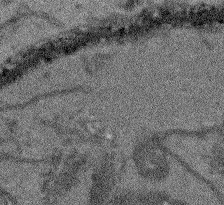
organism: Arabidopsis thaliana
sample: Root tip